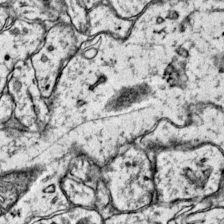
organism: Mouse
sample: Primary visual cortex